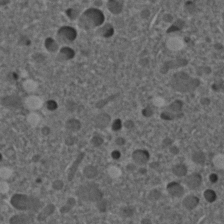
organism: C. elegans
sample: C. elegans embryo